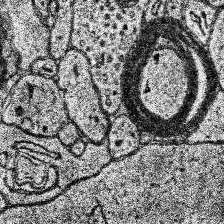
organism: Human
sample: Temporal Lobe